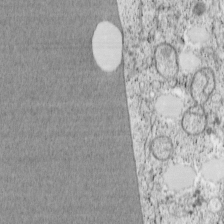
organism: African green monkey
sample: COS-7 cells